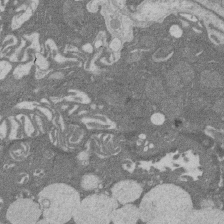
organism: Rat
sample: Salivary granule